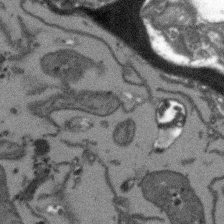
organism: Arabidopsis thaliana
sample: Root tip